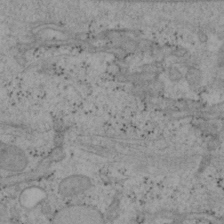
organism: Human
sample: HeLa cells